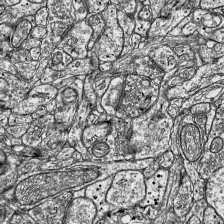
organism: Mouse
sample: Visual Cortex